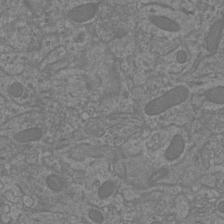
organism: Mouse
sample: Cortical neurons